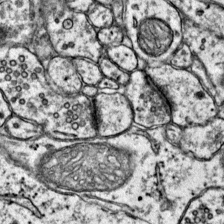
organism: Mouse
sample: Primary visual cortex